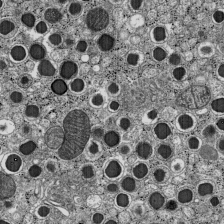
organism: C57BL Mouse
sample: Pancreatic islet